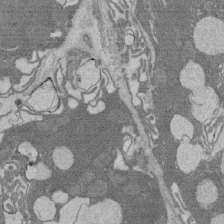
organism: Rat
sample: Salivary granule